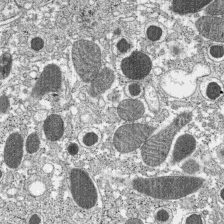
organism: C57BL Mouse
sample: Pancreatic islet